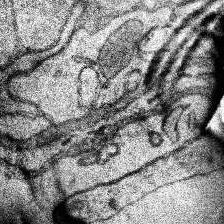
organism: Human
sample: Temporal Lobe